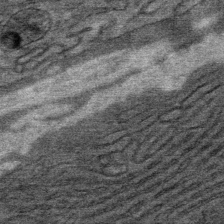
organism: Mouse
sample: Mouse Salivary gland